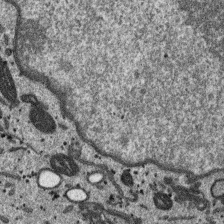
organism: Human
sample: Lung epithelial cells infected with SARS-CoV-2